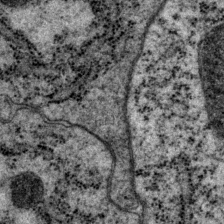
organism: P. pacificus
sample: Pharynx